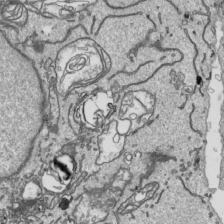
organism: Human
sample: Mitochondria in HCT116 cells